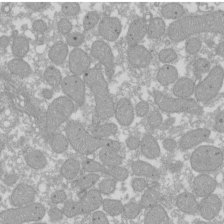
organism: Xenopus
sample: Cilia; centrioles in frog embryo cells